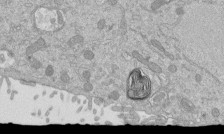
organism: Mouse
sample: ED-1 cell nuclei; centrioles